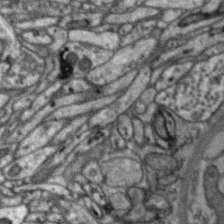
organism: Zebra finch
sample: Brain